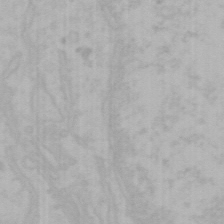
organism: Mouse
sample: Choroid plexus